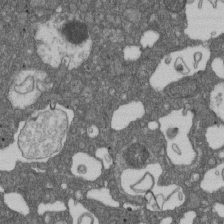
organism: Drosophila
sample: Nephrocyte